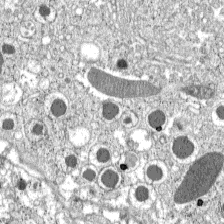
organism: C57BL Mouse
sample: Pancreatic islet